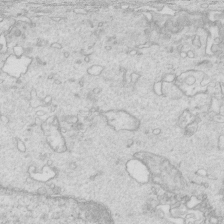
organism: Mouse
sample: Multiciliated cells